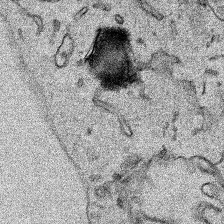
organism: Human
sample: Mitochondria in HCT116 cells